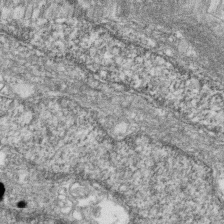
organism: Zebrafish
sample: Cilia; retinal pigment epithelium